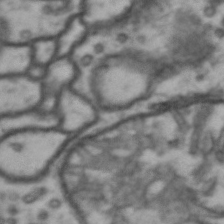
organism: Drosophila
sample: Brain